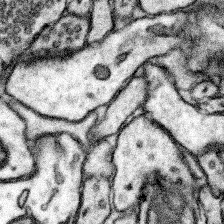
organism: Mouse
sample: Somatosensory cortex neuropil